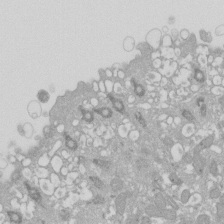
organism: Xenopus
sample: Cilia; centrioles in frog embryo cells